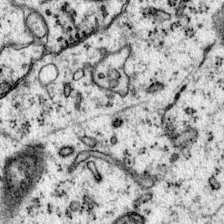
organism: Mouse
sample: Primary visual cortex